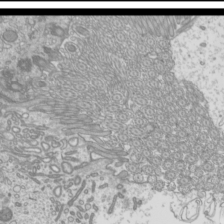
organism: Mouse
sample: Cilia; mouse epididymis